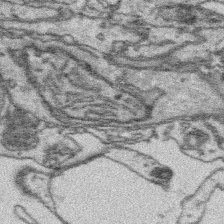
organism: Platynereis dumerilii